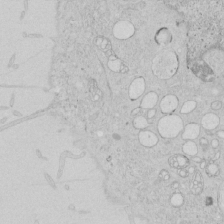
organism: Human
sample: Mitochondria in HCT116 cells